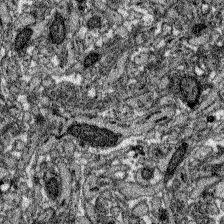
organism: Zebrafish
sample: Larval olfactory bulb